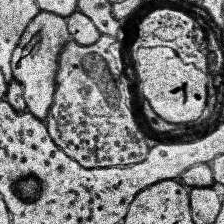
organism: Human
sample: Temporal Lobe